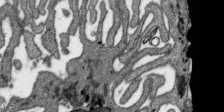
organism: Human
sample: Lung epithelial cells, uninfected (mock) control